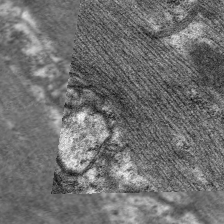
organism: C. elegans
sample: Pharynx